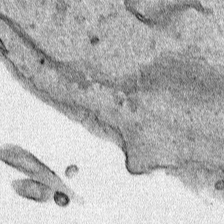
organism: Human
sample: Mitochondria in HCT116 cells